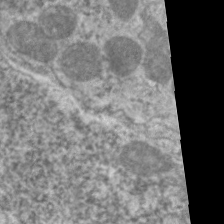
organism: C. elegans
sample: Pharynx